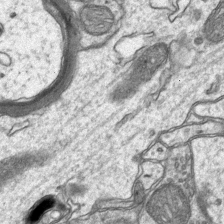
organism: Mouse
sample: CA1 Hippocampus